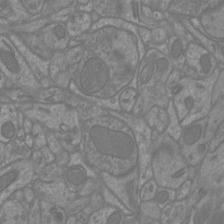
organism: Mouse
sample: Cortical neurons